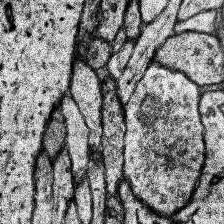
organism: Human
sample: Temporal Lobe